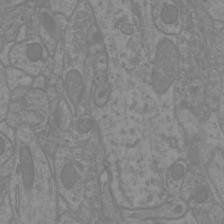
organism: Mouse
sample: Cortical neurons